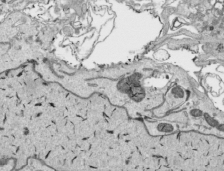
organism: Human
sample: Mitochondria in HCT116 cells